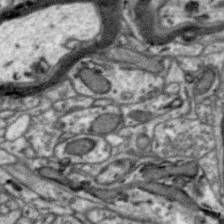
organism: Zebra finch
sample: Brain